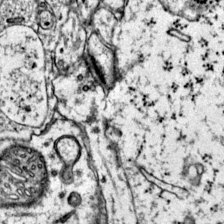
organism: Mouse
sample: Primary visual cortex